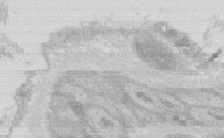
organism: Rat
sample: Salivary granule